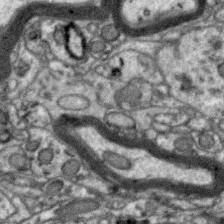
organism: Zebra finch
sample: Brain